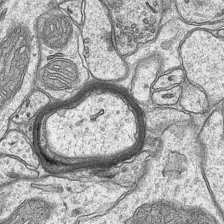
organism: Mouse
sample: CA1 Hippocampus